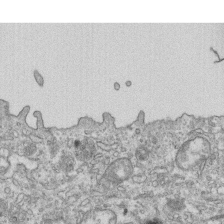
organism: Human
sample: HeLa cell HIV synapse